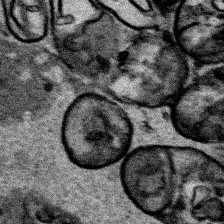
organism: Human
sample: Mitochondria in HCT116 cells